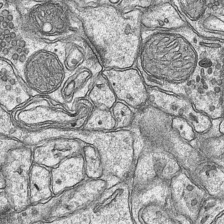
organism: Mouse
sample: CA1 Hippocampus